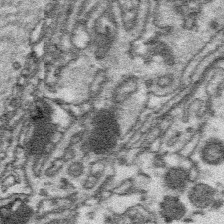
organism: Platynereis dumerilii